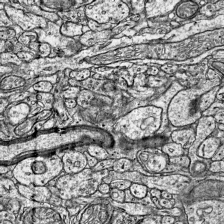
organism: Mouse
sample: Visual Cortex